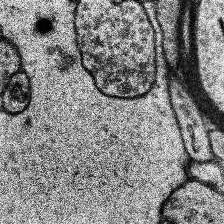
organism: Human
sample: Temporal Lobe